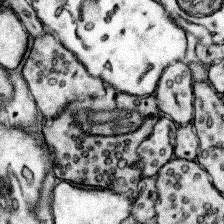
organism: Mouse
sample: Somatosensory cortex neuropil